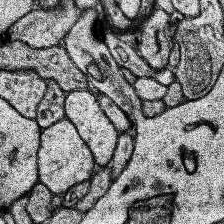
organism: Human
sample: Temporal Lobe